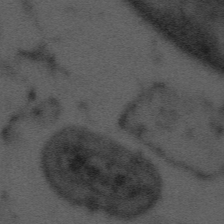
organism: Tuwongella immobilis